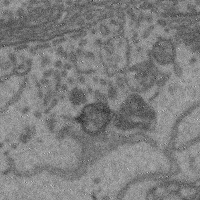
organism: Mouse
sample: Cerebral cortex